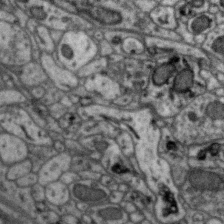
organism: Zebra finch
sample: Brain